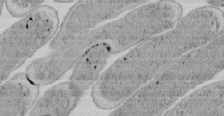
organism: E. coli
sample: Bacterial nucleoid